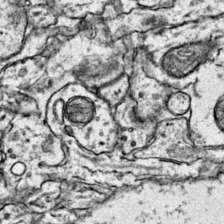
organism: Mouse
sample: Primary visual cortex